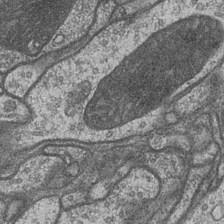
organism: Drosophila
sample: Optic medulla